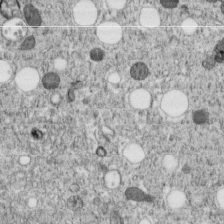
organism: C. elegans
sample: C. elegans embryo early stage